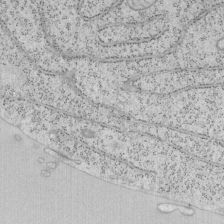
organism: Mouse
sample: OT-I killer T cells with ID8 ovarian cancer cells